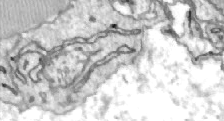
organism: Zebrafish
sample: Actinotrichia fibers